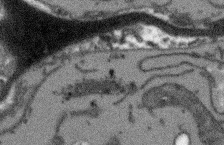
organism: Arabidopsis thaliana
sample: Root tip